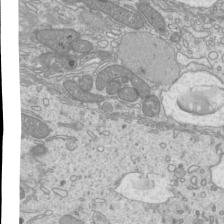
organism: Mouse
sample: Cilia; mouse epididymis